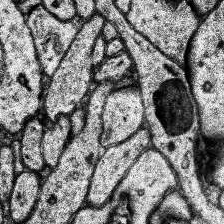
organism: Human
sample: Temporal Lobe